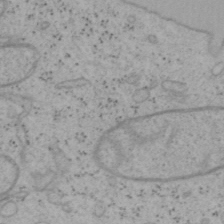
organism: Human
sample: HeLa cells